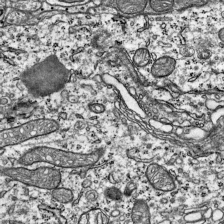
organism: Mouse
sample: Visual Cortex